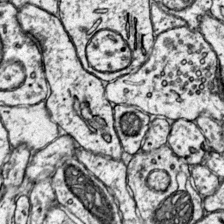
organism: Mouse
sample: Primary visual cortex